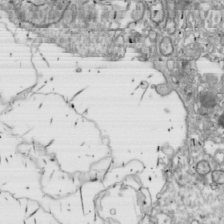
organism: Drosophila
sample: Cell division; meiosis; drosophila spermatocytes